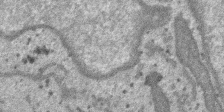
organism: Human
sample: Lung epithelial cells infected with SARS-CoV-2